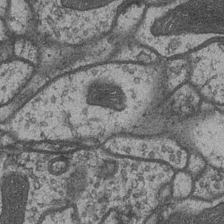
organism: Drosophila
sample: Optic medulla